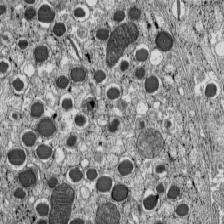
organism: C57BL Mouse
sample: Pancreatic islet